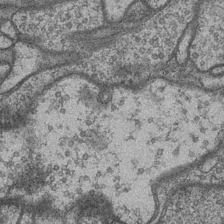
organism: Drosophila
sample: Optic medulla